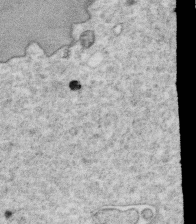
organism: C. elegans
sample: C. elegans oocyte; sperm cells